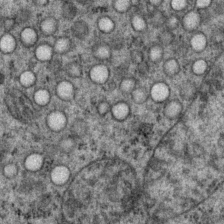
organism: P. pacificus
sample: Pharynx